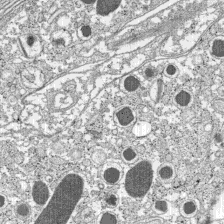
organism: C57BL Mouse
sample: Pancreatic islet